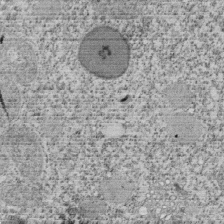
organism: Tetrahymena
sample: Cilia in tetrahymena